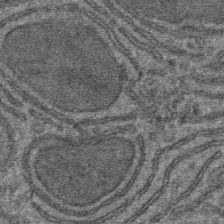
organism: Mouse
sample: Mouse hepatocytes